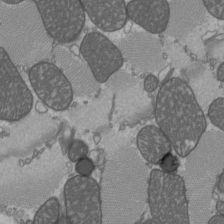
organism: C57BL Mouse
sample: Heart